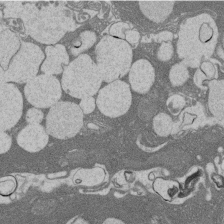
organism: Rat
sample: Salivary granule